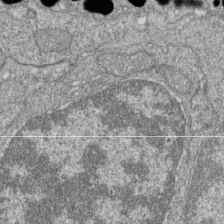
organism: Zebrafish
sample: Cilia; retinal pigment epithelium